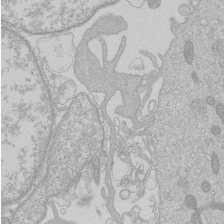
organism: Human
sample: Macrophage cells